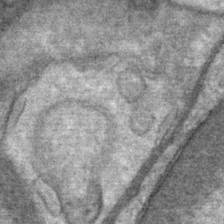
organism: Mouse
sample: Mouse Salivary gland